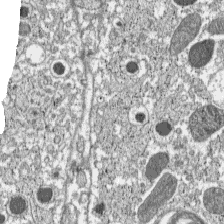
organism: C57BL Mouse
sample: Pancreatic islet